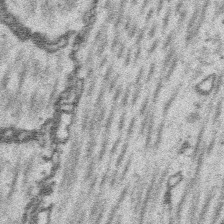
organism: Platynereis dumerilii